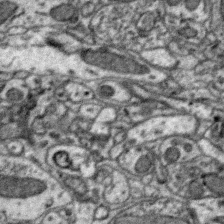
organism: Zebra finch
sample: Brain